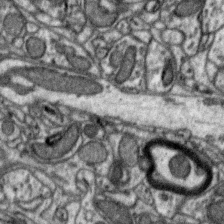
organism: Zebra finch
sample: Brain